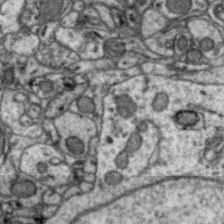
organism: Zebra finch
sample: Brain